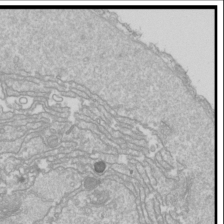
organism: Drosophila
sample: Cell division; meiosis; drosophila spermatocytes